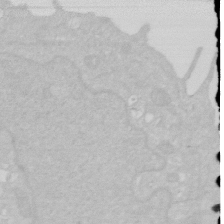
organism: Human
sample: HIV infected U937 cells